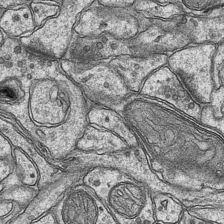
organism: Mouse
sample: CA1 Hippocampus